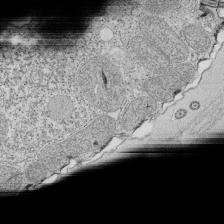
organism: Tetrahymena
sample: Cilia in tetrahymena